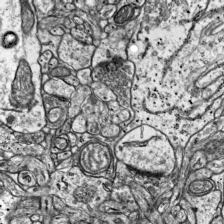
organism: Mouse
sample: Visual Cortex